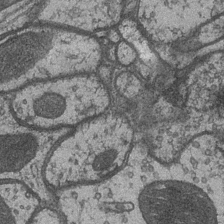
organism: Drosophila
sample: Optic medulla